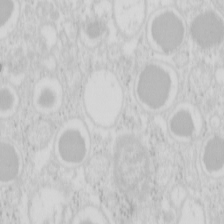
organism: Mouse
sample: Pancreas